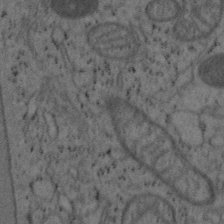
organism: Human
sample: HeLa cells